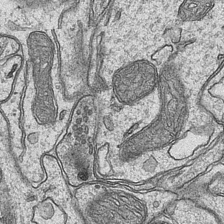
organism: Mouse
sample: CA1 Hippocampus